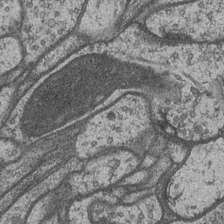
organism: Drosophila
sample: Optic medulla